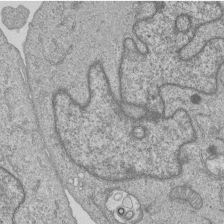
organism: Human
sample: MDA-MB-231 cells